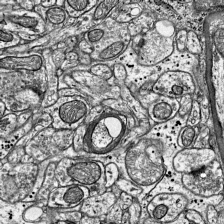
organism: Mouse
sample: Visual Cortex